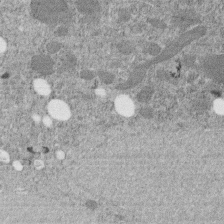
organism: C. elegans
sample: C. elegans embryo early stage